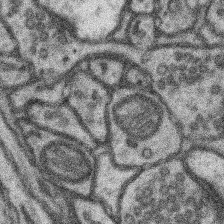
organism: Mouse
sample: Somatosensory cortex neuropil